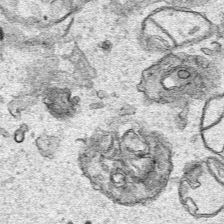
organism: Human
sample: Mitochondria in HCT116 cells